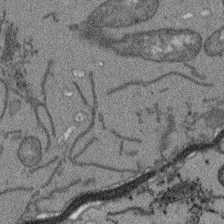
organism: Arabidopsis thaliana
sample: Root tip